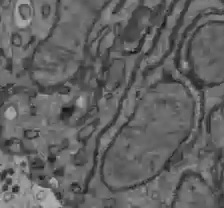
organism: C57BL Mouse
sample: Liver